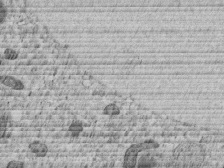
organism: C. elegans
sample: C. elegans embryo early stage